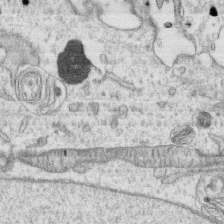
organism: Human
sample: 1205lu cells